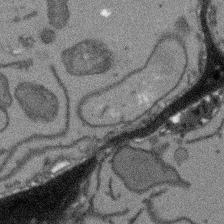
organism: Arabidopsis thaliana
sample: Root tip